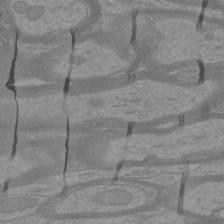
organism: Mouse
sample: Cortical neurons